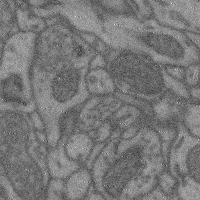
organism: Mouse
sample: Cerebral cortex